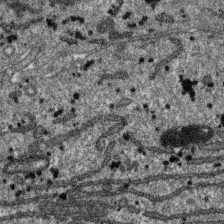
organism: Human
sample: Lung epithelial cells infected with SARS-CoV-2